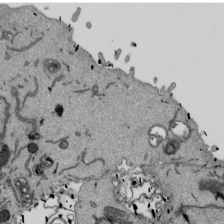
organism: Mouse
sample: ED-1 cell nuclei; centrioles